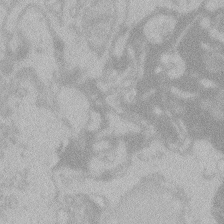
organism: Zebrafish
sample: Macrophage infected with Toxoplasma gondii